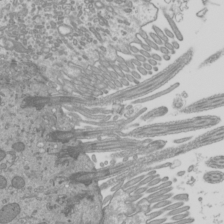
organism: Mouse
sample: Cilia; mouse epididymis